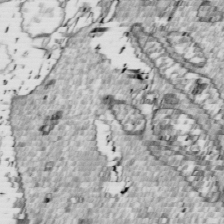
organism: Drosophila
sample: Cell division; meiosis; drosophila spermatocytes